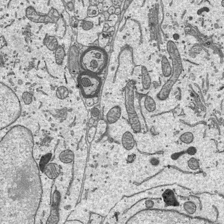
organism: Mouse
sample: Suprachiasmatic nucleus